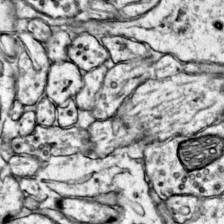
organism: Mouse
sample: Primary visual cortex